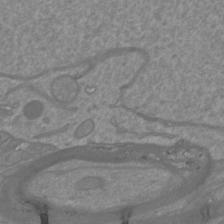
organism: Mouse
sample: Cortical neurons